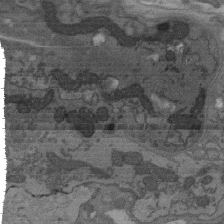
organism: C. elegans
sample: AFD neurons C. elegans